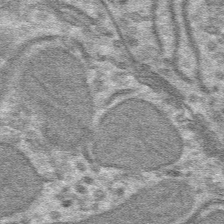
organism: Mouse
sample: Mouse hepatocytes